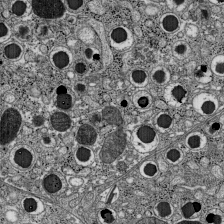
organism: C57BL Mouse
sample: Pancreatic islet